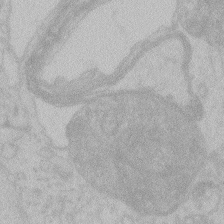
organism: Zebrafish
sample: Macrophage infected with Toxoplasma gondii